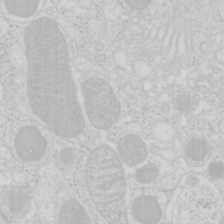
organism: Mouse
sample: Pancreas